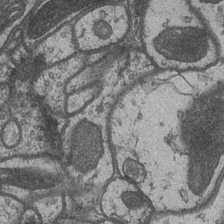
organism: Drosophila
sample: Optic medulla